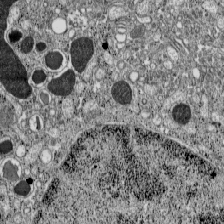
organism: C57BL Mouse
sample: Pancreatic islet